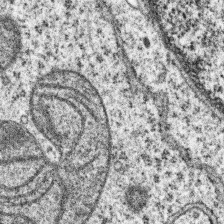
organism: Human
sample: HeLa cells